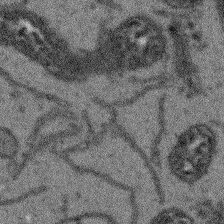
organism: Arabidopsis thaliana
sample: Root tip